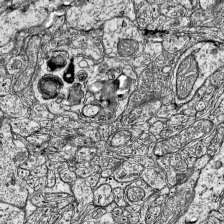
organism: Mouse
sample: Visual Cortex